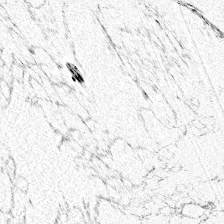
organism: Zebrafish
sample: Whole-Brain